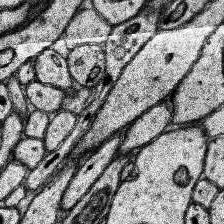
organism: Human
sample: Temporal Lobe